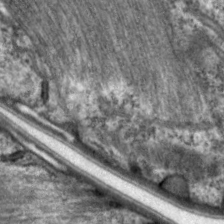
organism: C. elegans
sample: Pharynx